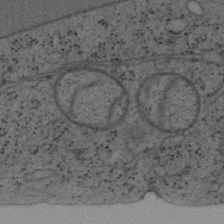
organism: Human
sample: HeLa cells